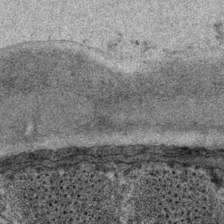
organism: P. pacificus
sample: Pharynx